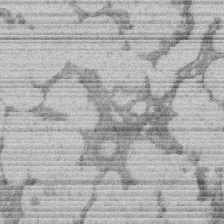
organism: Rat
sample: Salivary granule